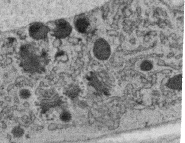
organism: C. elegans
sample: C. elegans oocyte; sperm cells